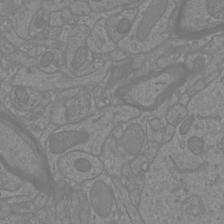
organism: Mouse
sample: Cortical neurons